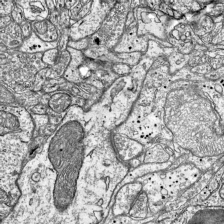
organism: Mouse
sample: Visual Cortex